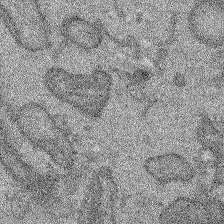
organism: Human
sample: HeLa cells